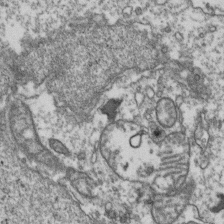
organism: Human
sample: Activated Jurkat CD4+ T cells